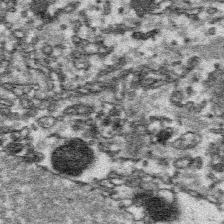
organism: Platynereis dumerilii